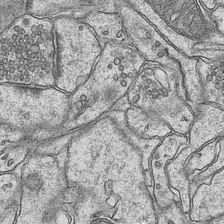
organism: Mouse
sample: CA1 Hippocampus